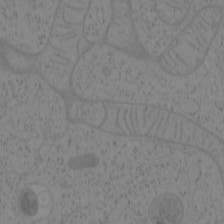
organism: Human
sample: HeLa cells